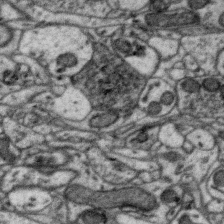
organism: Zebra finch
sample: Brain